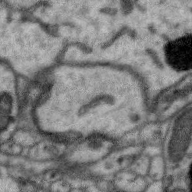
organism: Zebra finch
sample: Brain